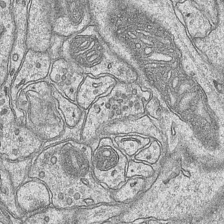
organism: Mouse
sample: CA1 Hippocampus